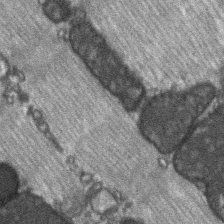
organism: C57BL Mouse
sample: Soleus